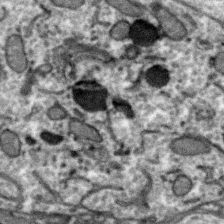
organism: Zebra finch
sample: Brain